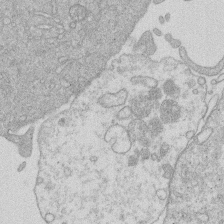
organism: Human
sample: Macrophage cells